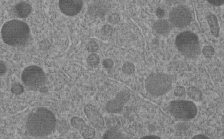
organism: C. elegans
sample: C. elegans embryo early stage